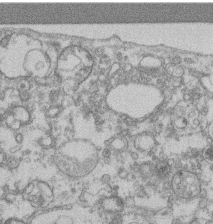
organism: Mouse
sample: T cell stromal cell synapse